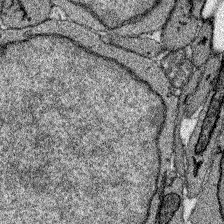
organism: Zebrafish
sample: Larval olfactory bulb